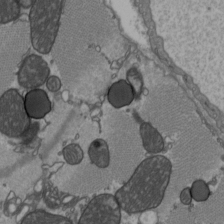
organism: C57BL Mouse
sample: Heart